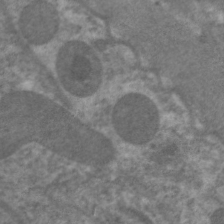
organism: C. elegans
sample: Pharynx